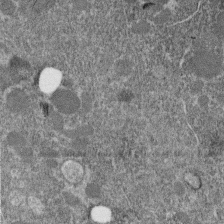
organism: C. elegans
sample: C. elegans embryo early stage